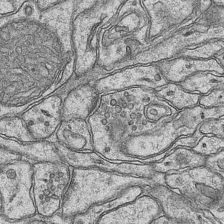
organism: Mouse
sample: CA1 Hippocampus